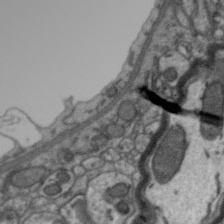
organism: Zebra finch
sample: Brain